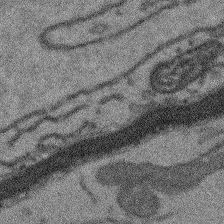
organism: Arabidopsis thaliana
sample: Root tip